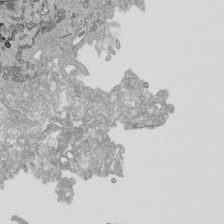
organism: Human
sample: Mitochondria in HCT116 cells